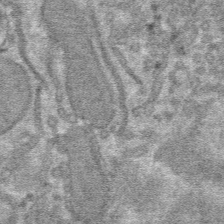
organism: Mouse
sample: Mouse hepatocytes